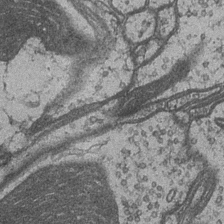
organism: Drosophila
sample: Optic medulla